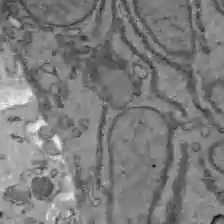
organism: C57BL Mouse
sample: Liver